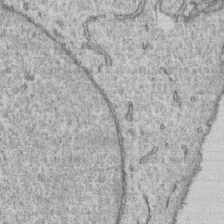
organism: Human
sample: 1205lu cells